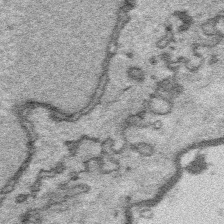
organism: Platynereis dumerilii